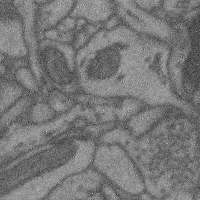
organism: Mouse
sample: Cerebral cortex